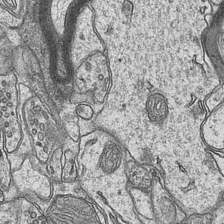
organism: Mouse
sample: CA1 Hippocampus